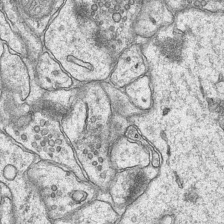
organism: Mouse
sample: CA1 Hippocampus